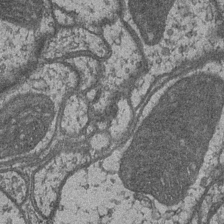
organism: Drosophila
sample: Optic medulla